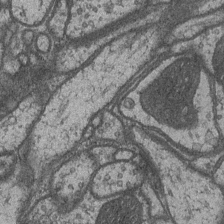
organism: Drosophila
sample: Optic medulla